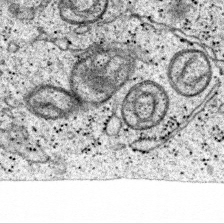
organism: Human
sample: HeLa cells